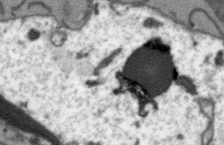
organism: Arabidopsis thaliana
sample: Root tip